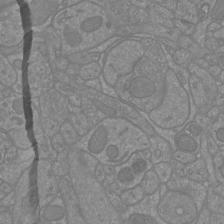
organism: Mouse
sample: Cortical neurons